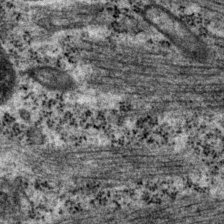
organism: P. pacificus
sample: Pharynx